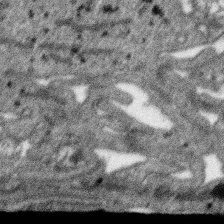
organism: Human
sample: Lung epithelial cells infected with SARS-CoV-2